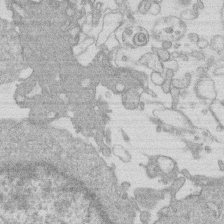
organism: Human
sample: Macrophage cells